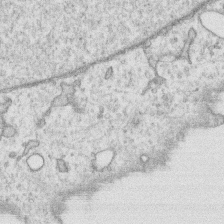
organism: Human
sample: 1205lu cells